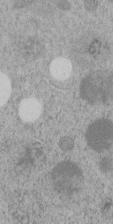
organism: C. elegans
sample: C. elegans embryo early stage